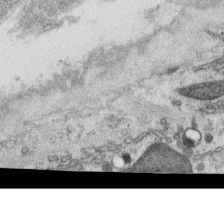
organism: C. elegans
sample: C. elegans oocyte; sperm cells